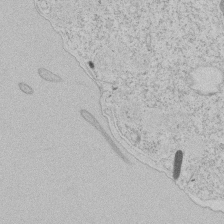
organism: Tetrahymena